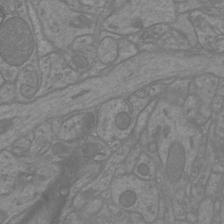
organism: Mouse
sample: Cortical neurons